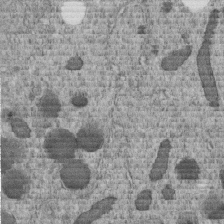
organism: C. elegans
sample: C. elegans embryo early stage